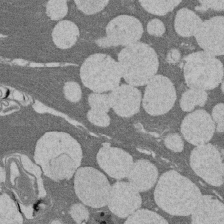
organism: Rat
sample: Salivary granule